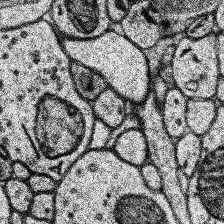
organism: Human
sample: Temporal Lobe